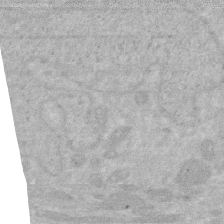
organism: Human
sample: HIV infected U937 cells